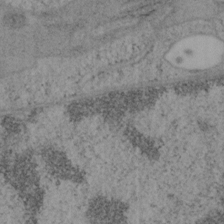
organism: Mouse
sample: OT-I killer T cells with ID8 ovarian cancer cells